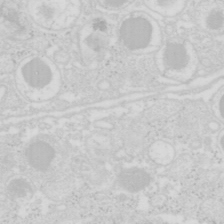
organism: Mouse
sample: Pancreas